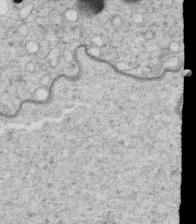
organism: C. elegans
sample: C. elegans oocyte; sperm cells